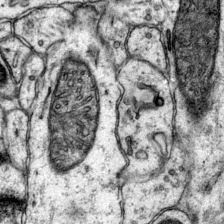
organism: Mouse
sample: Primary visual cortex